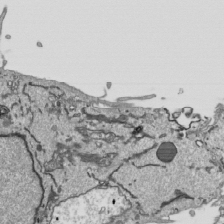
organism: Human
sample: Mitochondria in HCT116 cells